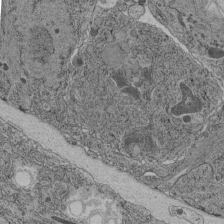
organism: C. elegans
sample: C. elegans pharynx